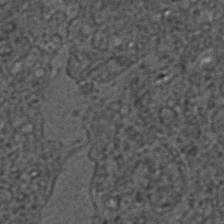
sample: Trachea